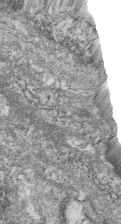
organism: Zebrafish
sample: Cilia; retinal pigment epithelium